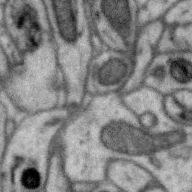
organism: Zebra finch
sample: Brain